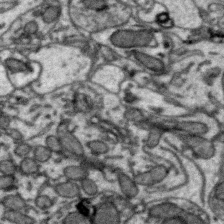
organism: Zebra finch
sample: Brain